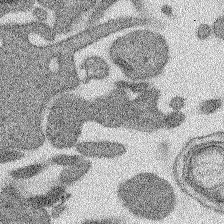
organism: Human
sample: HeLa cells